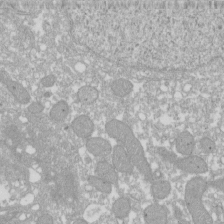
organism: Xenopus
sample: Cilia; centrioles in frog embryo cells